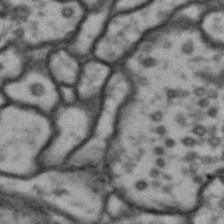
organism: Drosophila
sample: Brain